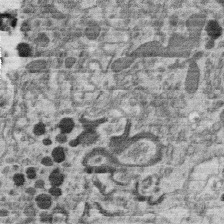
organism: C. elegans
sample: C. elegans oocyte; sperm cells